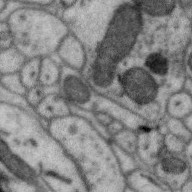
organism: Zebra finch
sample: Brain